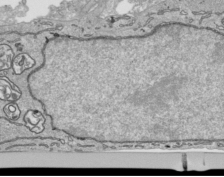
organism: Human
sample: Mitochondria in HCT116 cells